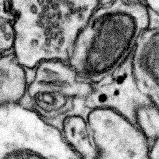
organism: Mouse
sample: Somatosensory cortex neuropil